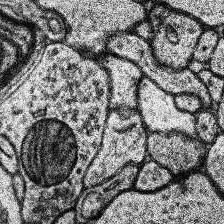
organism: Human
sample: Temporal Lobe